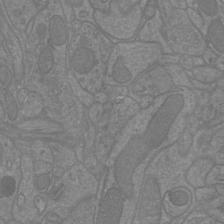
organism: Mouse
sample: Cortical neurons